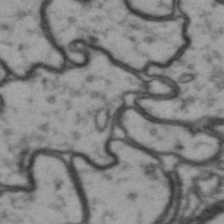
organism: Drosophila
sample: Brain